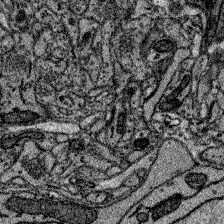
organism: Zebrafish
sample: Larval olfactory bulb